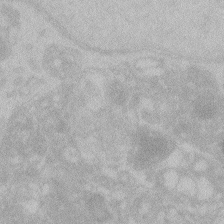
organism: Zebrafish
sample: Macrophage infected with Toxoplasma gondii